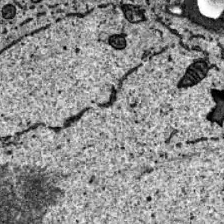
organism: Human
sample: HeLa cells